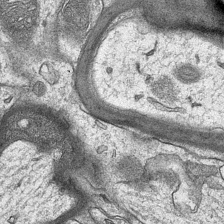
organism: Mouse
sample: CA1 Hippocampus